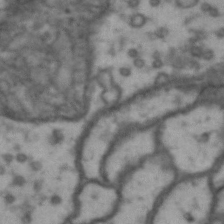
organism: Drosophila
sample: Brain